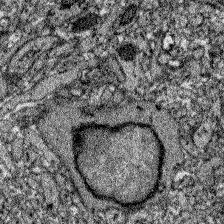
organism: Zebrafish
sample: Larval olfactory bulb